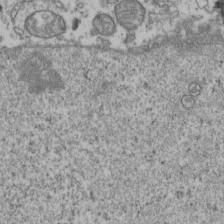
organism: Human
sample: Activated Jurkat CD4+ T cells